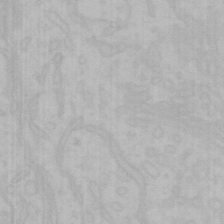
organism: Mouse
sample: Choroid plexus